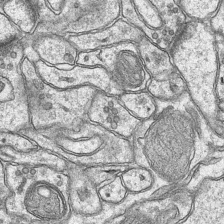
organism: Mouse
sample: CA1 Hippocampus